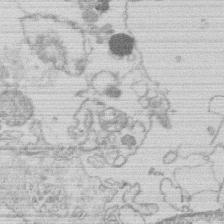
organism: Human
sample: Macrophage cells